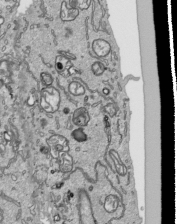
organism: Human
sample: Mitochondria in HCT116 cells